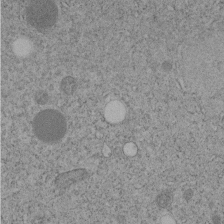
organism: C. elegans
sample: C. elegans embryo early stage